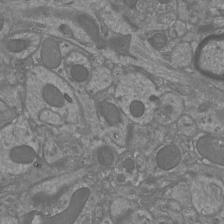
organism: Mouse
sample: Cortical neurons